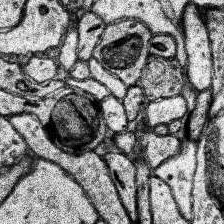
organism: Human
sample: Temporal Lobe